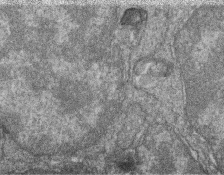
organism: Zebrafish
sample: Cilia; retinal pigment epithelium